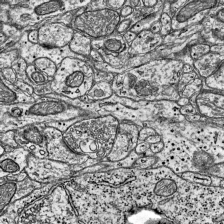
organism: Mouse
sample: Visual Cortex